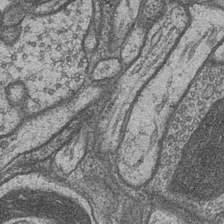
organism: Drosophila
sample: Optic medulla